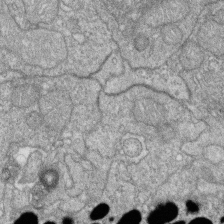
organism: Zebrafish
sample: Cilia; retinal pigment epithelium